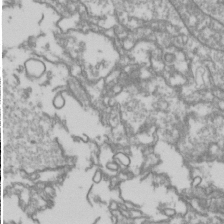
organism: Drosophila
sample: Cell division; meiosis; drosophila spermatocytes